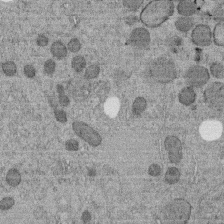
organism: C. elegans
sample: C. elegans embryo early stage